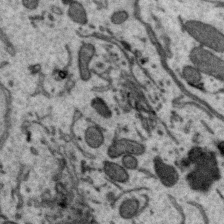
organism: Zebra finch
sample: Brain